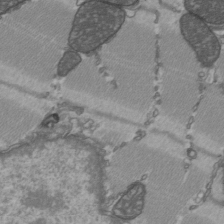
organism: C57BL Mouse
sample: Heart